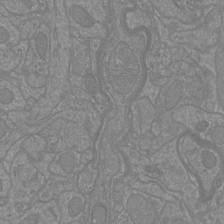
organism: Mouse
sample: Cortical neurons